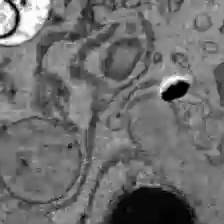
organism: C57BL Mouse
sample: Liver